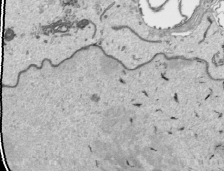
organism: Human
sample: Mitochondria in HCT116 cells